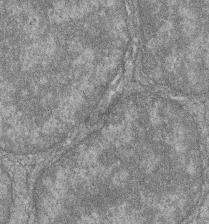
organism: Zebrafish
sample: Cilia; retinal pigment epithelium